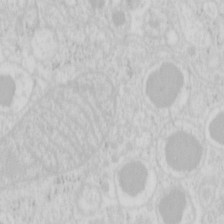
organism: Mouse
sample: Pancreas